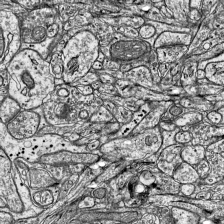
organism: Mouse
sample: Visual Cortex